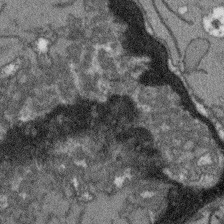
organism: Arabidopsis thaliana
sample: Root tip